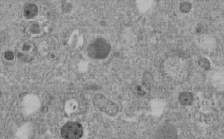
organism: C. elegans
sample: C. elegans embryo early stage